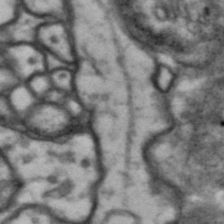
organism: Drosophila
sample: Brain